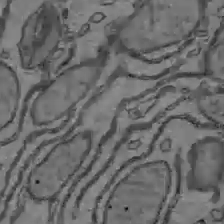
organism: C57BL Mouse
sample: Liver